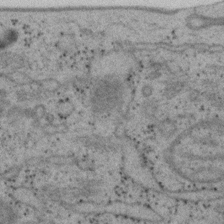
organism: Human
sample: HeLa cells